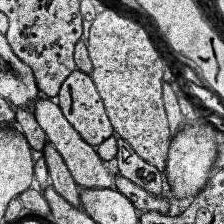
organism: Human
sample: Temporal Lobe